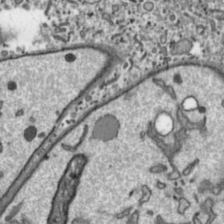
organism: Toxoplasma gondii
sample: Parasites in a vacuole inside a host cell